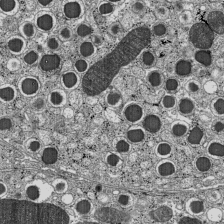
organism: C57BL Mouse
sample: Pancreatic islet